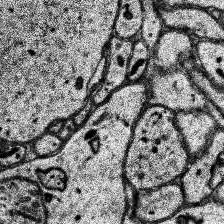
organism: Human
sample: Temporal Lobe